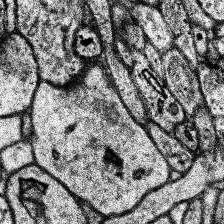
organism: Human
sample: Temporal Lobe